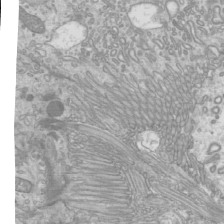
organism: Mouse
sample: Cilia; mouse epididymis